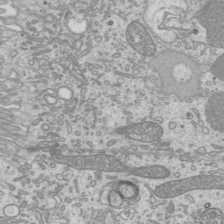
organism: Mouse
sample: Cilia; mouse epididymis